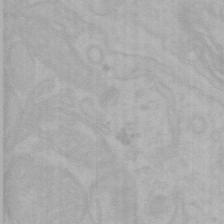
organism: Mouse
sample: Choroid plexus